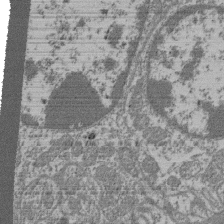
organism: Mouse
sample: Glomerulus